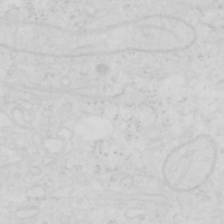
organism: Human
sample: SUM-159 cell